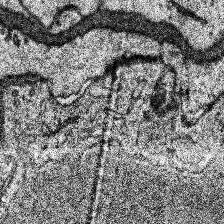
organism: Human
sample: Temporal Lobe